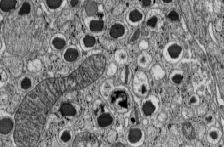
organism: C57BL Mouse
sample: Pancreatic islet